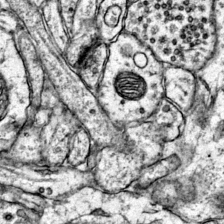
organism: Mouse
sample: Primary visual cortex